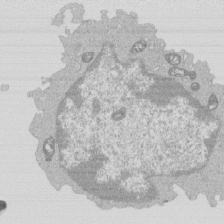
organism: Mouse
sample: Activated Pmel transgenic CD8+ T Cells